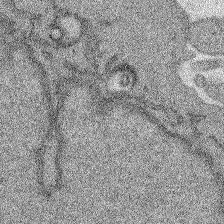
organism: Human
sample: HeLa cells